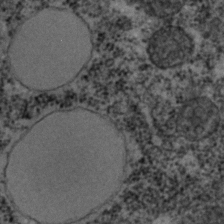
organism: C. elegans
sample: C. elegans embryo